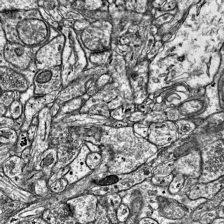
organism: Mouse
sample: Visual Cortex